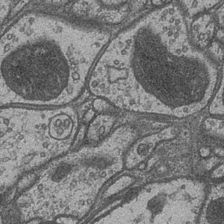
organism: Drosophila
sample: Optic medulla